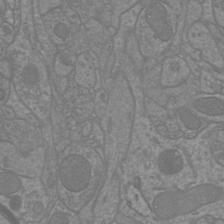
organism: Mouse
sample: Cortical neurons